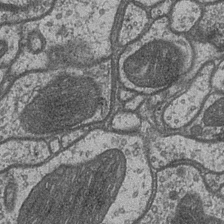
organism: Drosophila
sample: Optic medulla